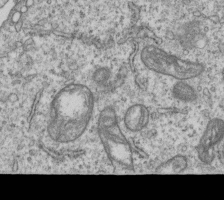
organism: Human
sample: MDA-MB-231 cells